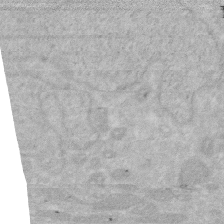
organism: Human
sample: HIV infected U937 cells